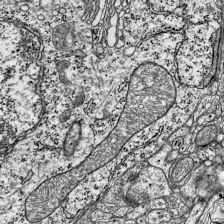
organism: Mouse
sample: Visual Cortex